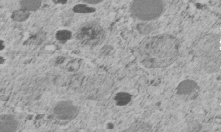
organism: C. elegans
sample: C. elegans embryo early stage